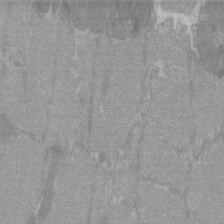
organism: C57BL Mouse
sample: Tibialis anterior muscle cell